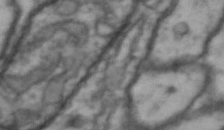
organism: Drosophila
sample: Brain